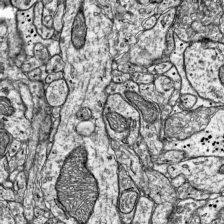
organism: Mouse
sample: Visual Cortex